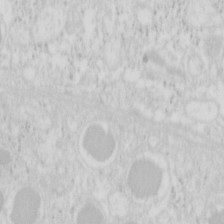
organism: Mouse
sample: Pancreas